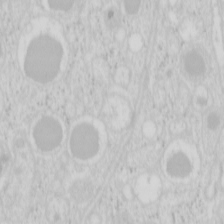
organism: Mouse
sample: Pancreas